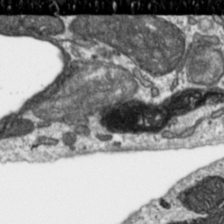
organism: Toxoplasma gondii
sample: Parasites in a vacuole inside a host cell